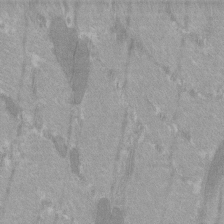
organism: C57BL Mouse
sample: Tibialis anterior muscle cell